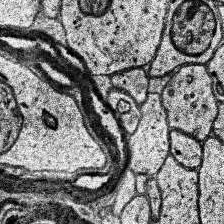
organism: Human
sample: Temporal Lobe